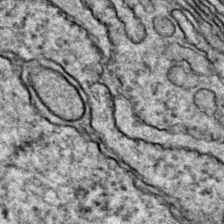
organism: Zebrafish